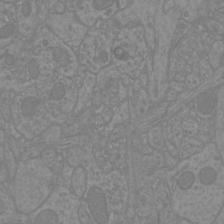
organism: Mouse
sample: Cortical neurons